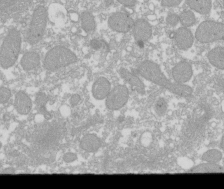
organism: Xenopus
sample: Cilia; centrioles in frog embryo cells